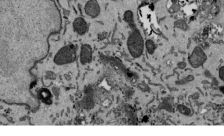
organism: Mouse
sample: ED-1 cell nuclei; centrioles